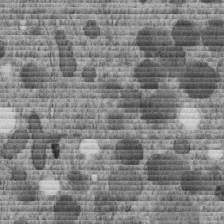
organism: C. elegans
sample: C. elegans embryo early stage